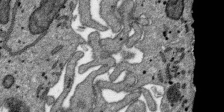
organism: Human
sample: Lung epithelial cells, uninfected (mock) control